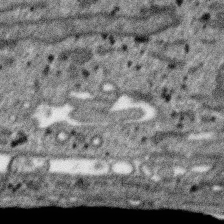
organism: Human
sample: Lung epithelial cells infected with SARS-CoV-2